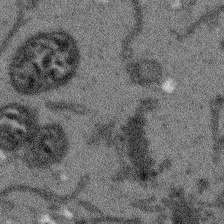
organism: Arabidopsis thaliana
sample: Root tip